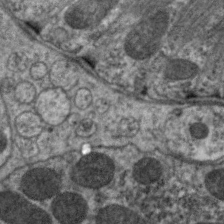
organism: C. elegans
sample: Pharynx